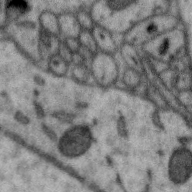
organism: Zebra finch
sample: Brain